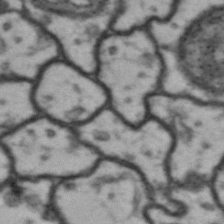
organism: Drosophila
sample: Brain